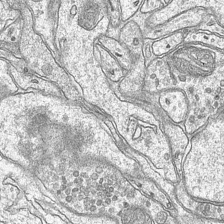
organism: Mouse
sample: CA1 Hippocampus